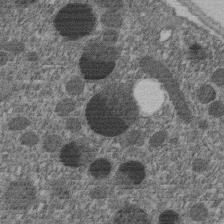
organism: C. elegans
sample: C. elegans embryo early stage